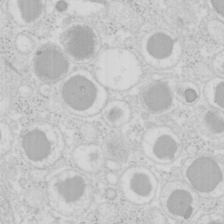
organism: Mouse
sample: Pancreas